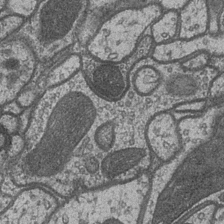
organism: Drosophila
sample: Optic medulla